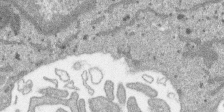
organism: Human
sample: Lung epithelial cells infected with SARS-CoV-2